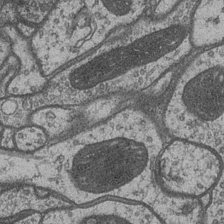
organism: Drosophila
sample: Optic medulla